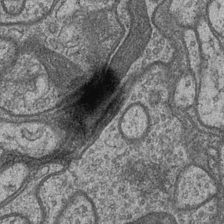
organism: Drosophila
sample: Optic medulla